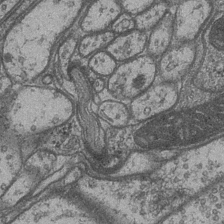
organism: Drosophila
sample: Optic medulla